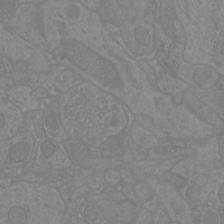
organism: Mouse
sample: Cortical neurons